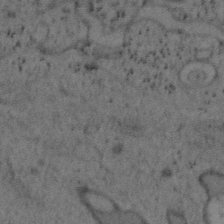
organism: Human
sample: HeLa cells